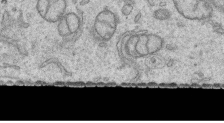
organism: Human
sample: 1205lu cells